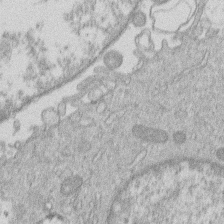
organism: Human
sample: Macrophage cells